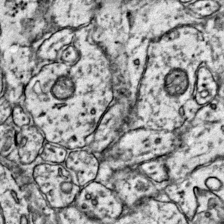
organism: Mouse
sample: Primary visual cortex